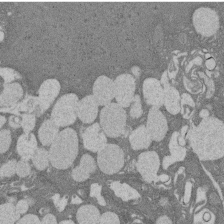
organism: Rat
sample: Salivary granule